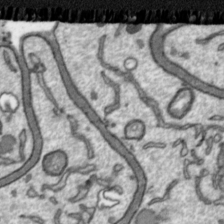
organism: Toxoplasma gondii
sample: Parasites in a vacuole inside a host cell